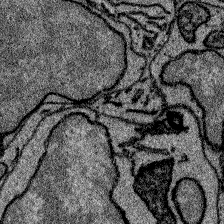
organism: Zebrafish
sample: Larval olfactory bulb